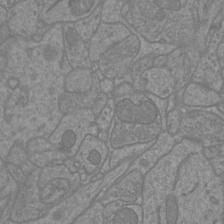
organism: Mouse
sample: Cortical neurons